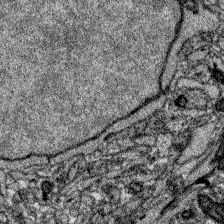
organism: Zebrafish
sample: Larval olfactory bulb